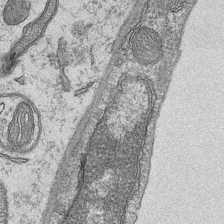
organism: Mouse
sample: CA1 Hippocampus